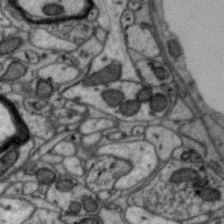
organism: Zebra finch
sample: Brain